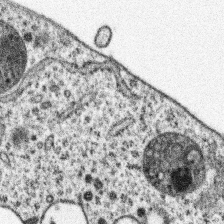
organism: Human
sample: HeLa cells